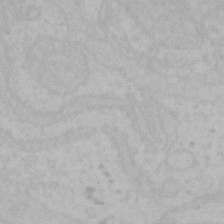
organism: Mouse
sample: Choroid plexus